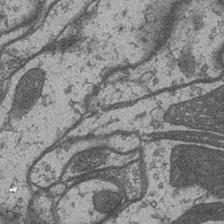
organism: Drosophila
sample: Optic medulla